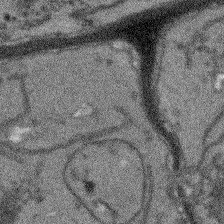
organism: Arabidopsis thaliana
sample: Root tip